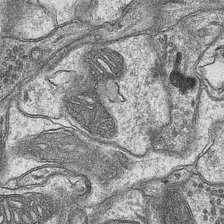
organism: Mouse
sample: CA1 Hippocampus